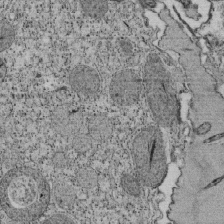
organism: Tetrahymena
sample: Cilia in tetrahymena